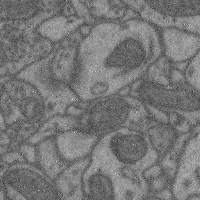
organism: Mouse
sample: Cerebral cortex